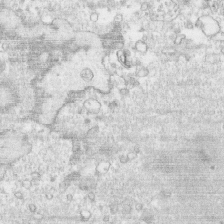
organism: Human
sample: CRL-1474